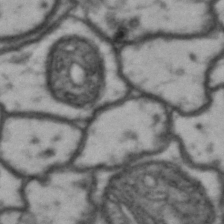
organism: Drosophila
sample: Brain